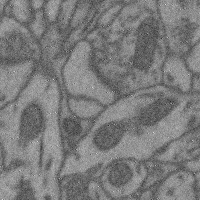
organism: Mouse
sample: Cerebral cortex